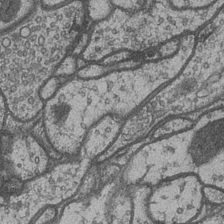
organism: Drosophila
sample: Optic medulla